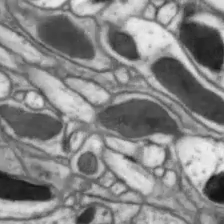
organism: Drosophila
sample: Optic lobe